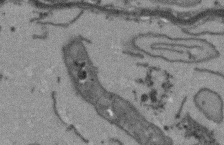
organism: Arabidopsis thaliana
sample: Root tip